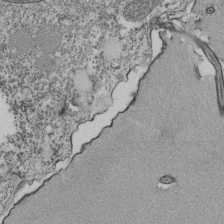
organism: Tetrahymena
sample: Cilia in tetrahymena